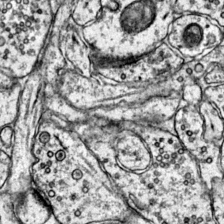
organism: Mouse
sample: Primary visual cortex